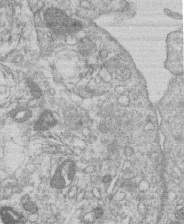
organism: Human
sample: Macrophage cells